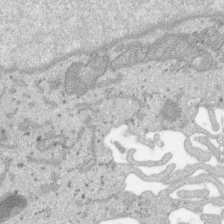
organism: Human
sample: Lung epithelial cells infected with SARS-CoV-2